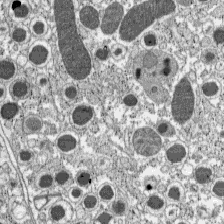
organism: C57BL Mouse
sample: Pancreatic islet